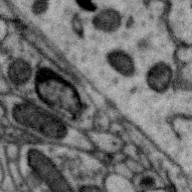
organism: Zebra finch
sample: Brain